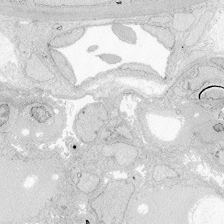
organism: Zebrafish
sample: Whole-Brain